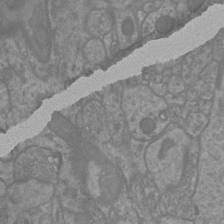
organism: Mouse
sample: Cortical neurons